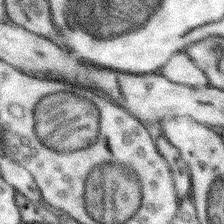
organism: Mouse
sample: Somatosensory cortex neuropil